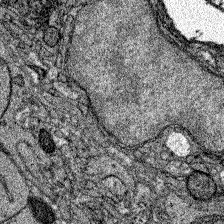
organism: Zebrafish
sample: Larval olfactory bulb